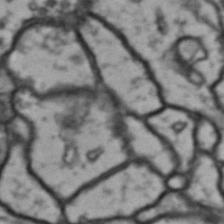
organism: Drosophila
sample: Brain